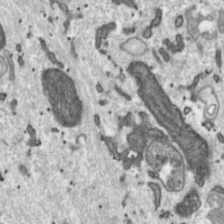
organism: Toxoplasma gondii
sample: Parasites in a vacuole inside a host cell